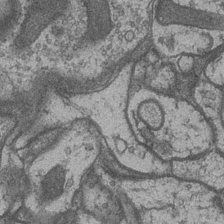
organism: Drosophila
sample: Optic medulla